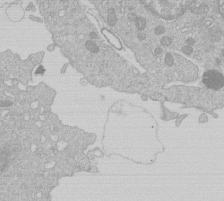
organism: Human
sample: Macrophage cells